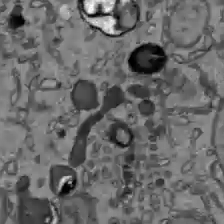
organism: C57BL Mouse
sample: Liver